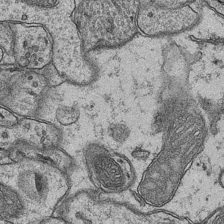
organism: Mouse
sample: CA1 Hippocampus